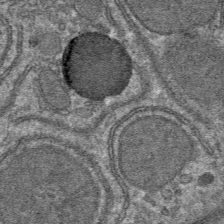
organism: Mouse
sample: Mouse hepatocytes